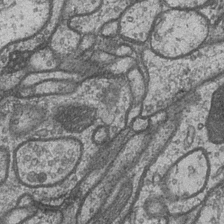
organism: Drosophila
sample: Optic medulla